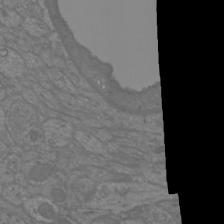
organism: Mouse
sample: Cortical neurons